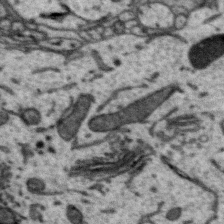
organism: Zebra finch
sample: Brain